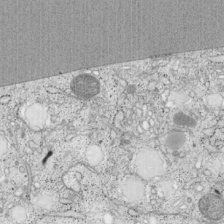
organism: African green monkey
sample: COS-7 cells